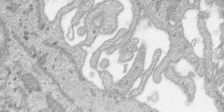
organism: Human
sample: Lung epithelial cells infected with SARS-CoV-2